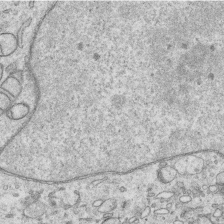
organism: Human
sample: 1205lu cells